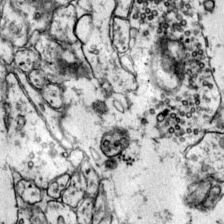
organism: Mouse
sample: Primary visual cortex